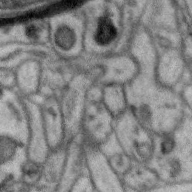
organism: Zebra finch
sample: Brain